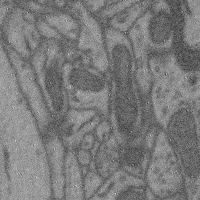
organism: Mouse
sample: Cerebral cortex